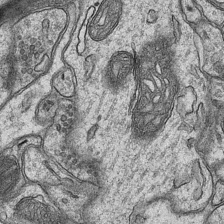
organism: Mouse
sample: CA1 Hippocampus